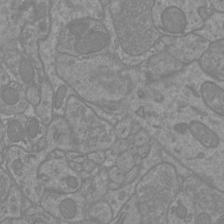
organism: Mouse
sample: Cortical neurons